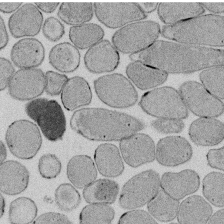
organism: E. coli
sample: Bacterial nucleoid